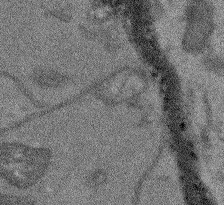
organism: Arabidopsis thaliana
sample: Root tip